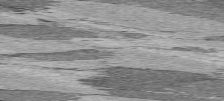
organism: C57BL Mouse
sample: Heart